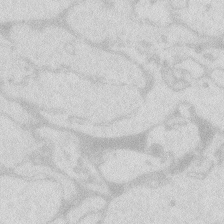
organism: Zebrafish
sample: Macrophage